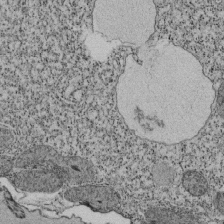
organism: Tetrahymena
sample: Cilia in tetrahymena